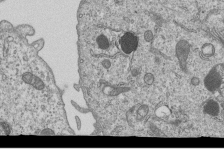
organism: Human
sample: MDA-MB-231 cells